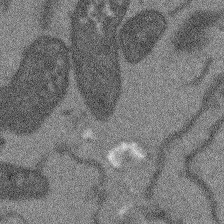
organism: Arabidopsis thaliana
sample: Root tip